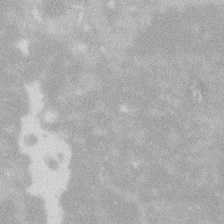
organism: Zebrafish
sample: Macrophage